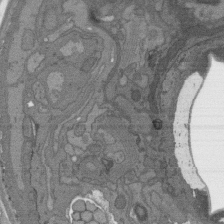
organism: C. elegans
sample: AFD neurons C. elegans